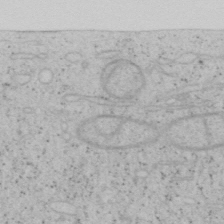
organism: Human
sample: HeLa cells